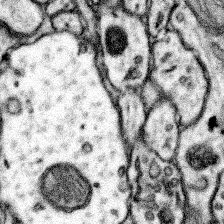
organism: Mouse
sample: Somatosensory cortex neuropil